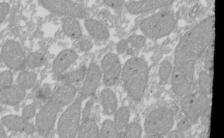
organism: Xenopus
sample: Cilia; centrioles in frog embryo cells